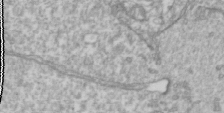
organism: Drosophila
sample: Cell division; meiosis; drosophila spermatocytes